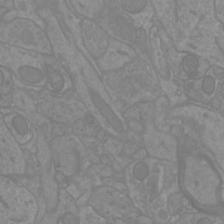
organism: Mouse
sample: Cortical neurons